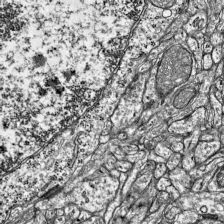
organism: Mouse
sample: Visual Cortex